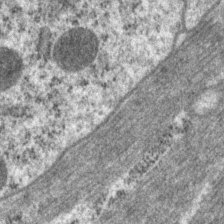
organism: P. pacificus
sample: Pharynx